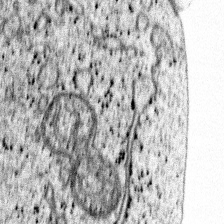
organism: Human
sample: HeLa cells